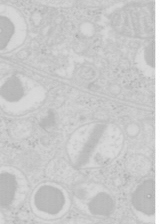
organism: Mouse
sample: Pancreas